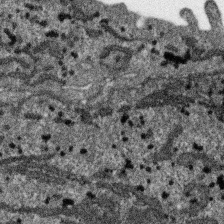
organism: Human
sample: Lung epithelial cells infected with SARS-CoV-2